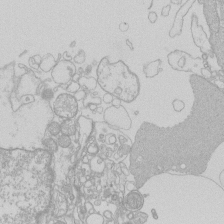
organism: Human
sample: Macrophage cells